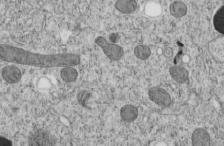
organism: C. elegans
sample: C. elegans embryo early stage